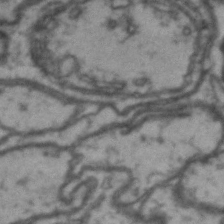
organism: Drosophila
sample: Brain